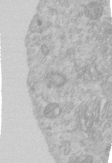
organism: Human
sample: Centriole in RPE cells